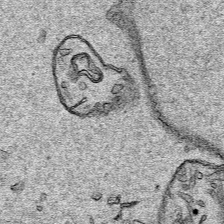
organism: Human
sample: Mitochondria in HCT116 cells